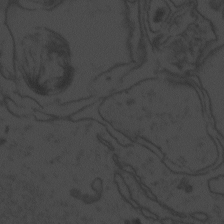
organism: Zebrafish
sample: Macrophage infected with Toxoplasma gondii